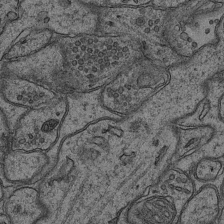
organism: Mouse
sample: CA1 Hippocampus